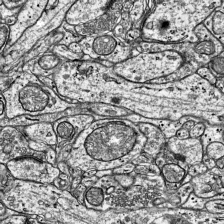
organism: Mouse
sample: Visual Cortex